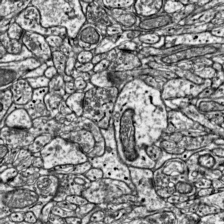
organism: Mouse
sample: Visual Cortex